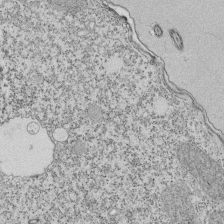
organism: Tetrahymena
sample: Cilia in tetrahymena